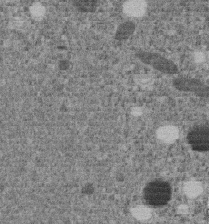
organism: C. elegans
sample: C. elegans embryo early stage